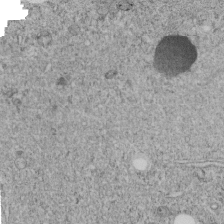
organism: C. elegans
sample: C. elegans embryo early stage